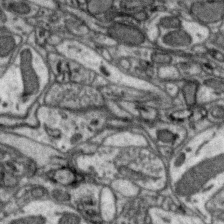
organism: Zebra finch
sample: Brain